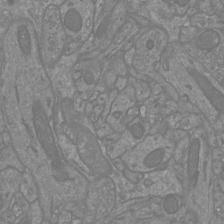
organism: Mouse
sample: Cortical neurons